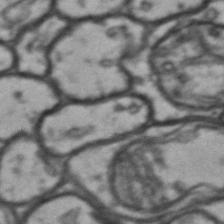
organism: Drosophila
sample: Brain